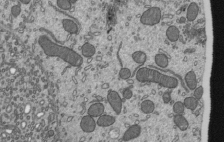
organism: Mouse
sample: Mouse epididymis efferent ductule cilia